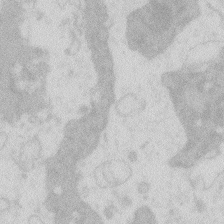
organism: Zebrafish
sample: Macrophage